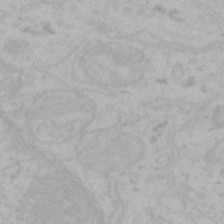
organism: Mouse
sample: Choroid plexus